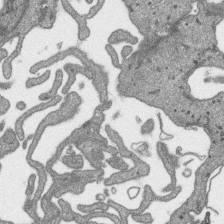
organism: Human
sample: Lung epithelial cells infected with SARS-CoV-2